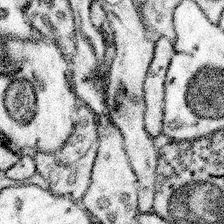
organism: Mouse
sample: Somatosensory cortex neuropil